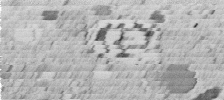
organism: C. elegans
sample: C. elegans embryo early stage